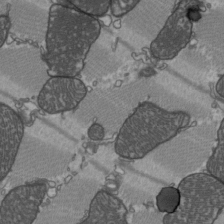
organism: C57BL Mouse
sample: Heart